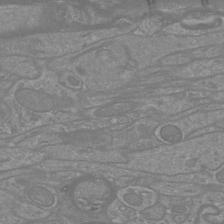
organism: Mouse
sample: Cortical neurons